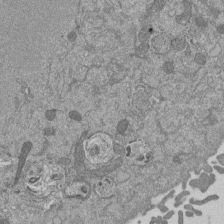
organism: Mouse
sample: ED-1 cell nuclei; centrioles